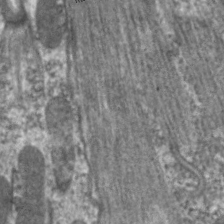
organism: C. elegans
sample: Pharynx